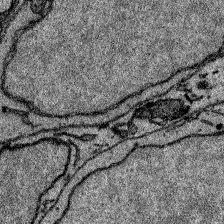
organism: Zebrafish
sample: Larval olfactory bulb